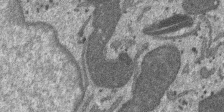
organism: Human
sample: Lung epithelial cells infected with SARS-CoV-2